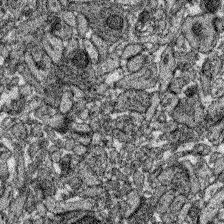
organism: Zebrafish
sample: Larval olfactory bulb